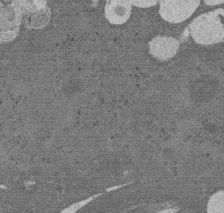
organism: Rat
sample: Salivary granule